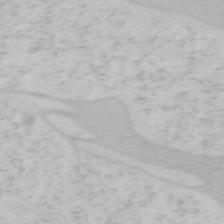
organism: Mouse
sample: OT-I killer T cells with ID8 ovarian cancer cells